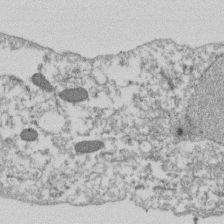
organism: Dictyostelium discoideum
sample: Dictyostelium multivesicular bodies